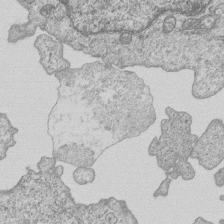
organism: Human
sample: MDA-MB-231 cells